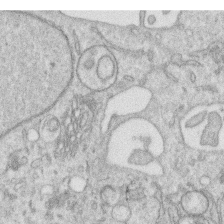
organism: Human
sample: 1205lu cells